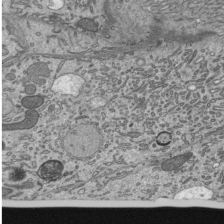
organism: Mouse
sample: Mouse epididymis efferent ductule cilia